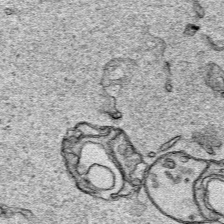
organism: Human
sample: Mitochondria in HCT116 cells